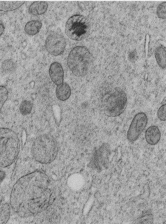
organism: C. elegans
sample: C. elegans embryo early stage